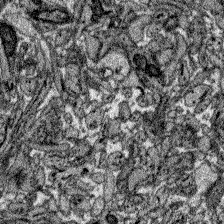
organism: Zebrafish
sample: Larval olfactory bulb